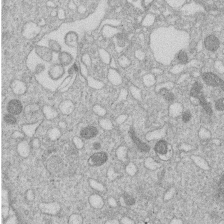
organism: Human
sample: Macrophage cells